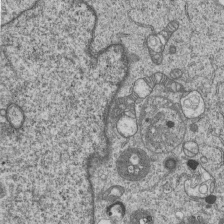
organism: Human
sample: MDA-MB-231 cells